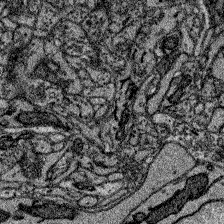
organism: Zebrafish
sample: Larval olfactory bulb